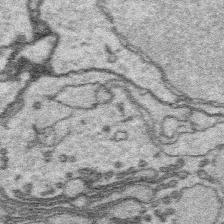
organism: Platynereis dumerilii